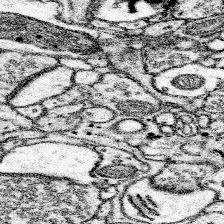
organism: Mouse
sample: Somatosensory cortex neuropil